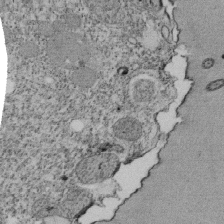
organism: Tetrahymena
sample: Cilia in tetrahymena